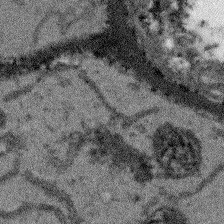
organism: Arabidopsis thaliana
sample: Root tip